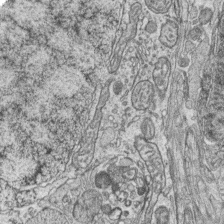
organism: Zebrafish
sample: synaptic ribbons in rod cells and cone cells